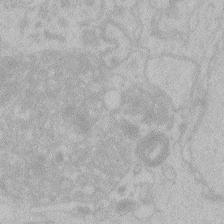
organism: Zebrafish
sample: Macrophage infected with Toxoplasma gondii